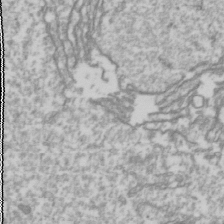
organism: Drosophila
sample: Cell division; meiosis; drosophila spermatocytes